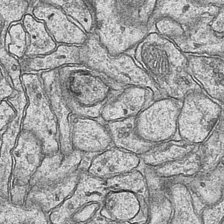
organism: Mouse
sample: CA1 Hippocampus